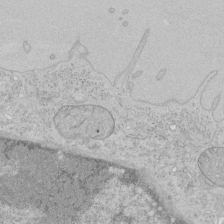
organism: Human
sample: Mitochondria in HCT116 cells